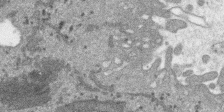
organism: Human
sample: Lung epithelial cells infected with SARS-CoV-2